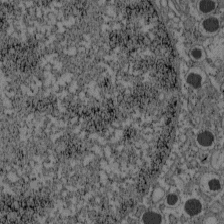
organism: C57BL Mouse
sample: Pancreatic islet